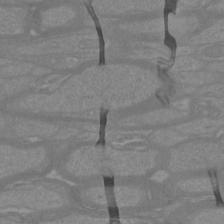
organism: Mouse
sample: Cortical neurons